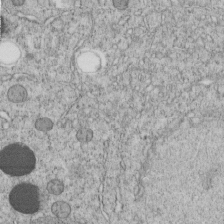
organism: C. elegans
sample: C. elegans embryo early stage